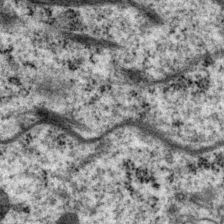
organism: P. pacificus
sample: Pharynx